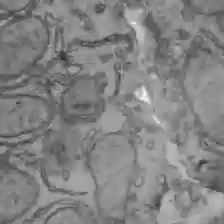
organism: C57BL Mouse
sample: Liver